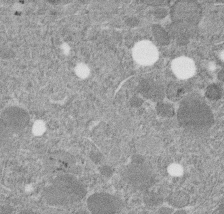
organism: C. elegans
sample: C. elegans embryo early stage